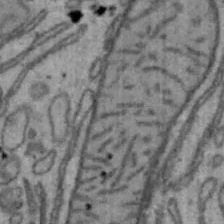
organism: Mouse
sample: Liver